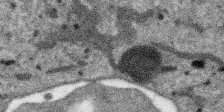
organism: Human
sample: Lung epithelial cells infected with SARS-CoV-2